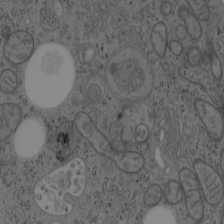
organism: Mouse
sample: OT-I killer T cells with ID8 ovarian cancer cells